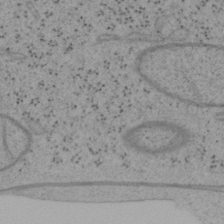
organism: Human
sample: HeLa cells